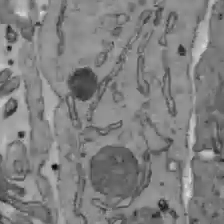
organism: C57BL Mouse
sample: Liver